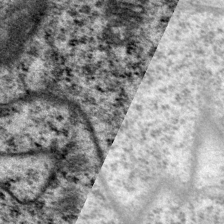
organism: P. pacificus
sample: Pharynx